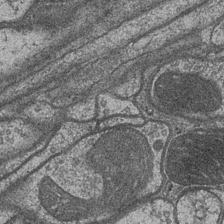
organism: Drosophila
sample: Optic medulla